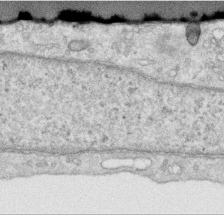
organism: Human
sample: Centriole in RPE cells